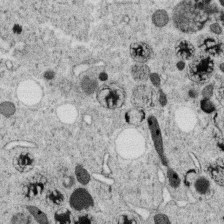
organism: C. elegans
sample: C. elegans oocyte; sperm cells